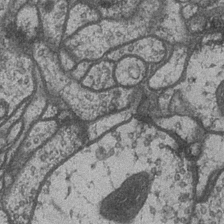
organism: Drosophila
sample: Optic medulla